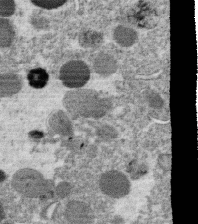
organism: C. elegans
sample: C. elegans oocyte; sperm cells